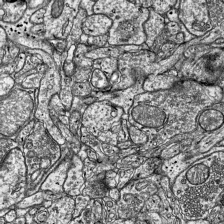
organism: Mouse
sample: Visual Cortex